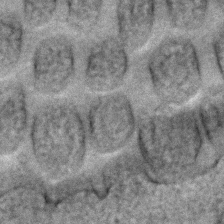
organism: C. elegans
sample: C. elegans embryo